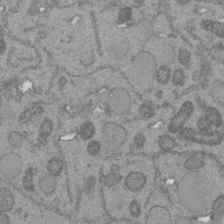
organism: C. elegans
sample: C. elegans embryo early stage